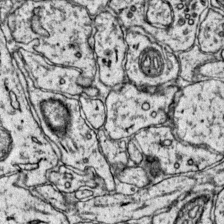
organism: Mouse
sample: Primary visual cortex